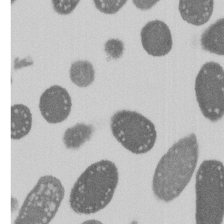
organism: E. coli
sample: Bacterial nucleoid